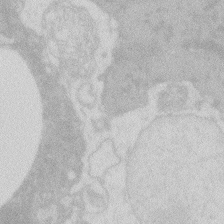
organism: Zebrafish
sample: Macrophage